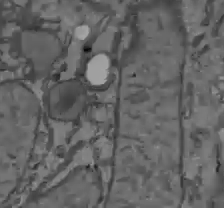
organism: C57BL Mouse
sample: Liver